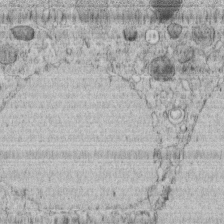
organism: C. elegans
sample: C. elegans embryo early stage